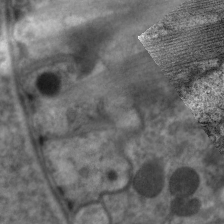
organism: C. elegans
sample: Pharynx